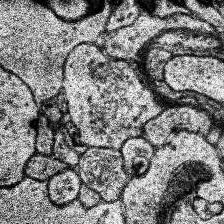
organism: Human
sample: Temporal Lobe